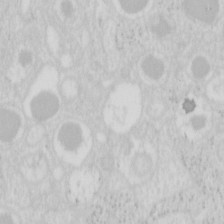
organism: Mouse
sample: Pancreas